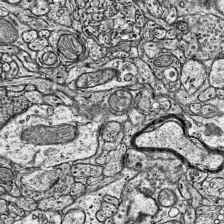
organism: Mouse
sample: Visual Cortex